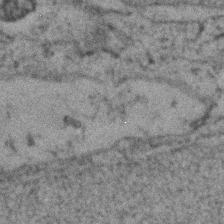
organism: Zebrafish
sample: Zebrafish embryo